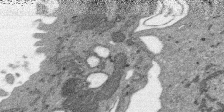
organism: Human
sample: Lung epithelial cells infected with SARS-CoV-2